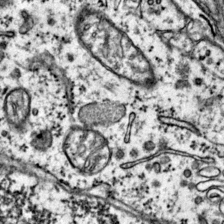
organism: Mouse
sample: Primary visual cortex